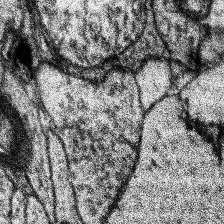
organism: Human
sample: Temporal Lobe